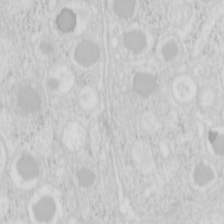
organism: Mouse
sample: Pancreas